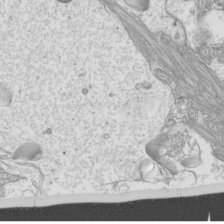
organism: Mouse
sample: Cilia; mouse epididymis